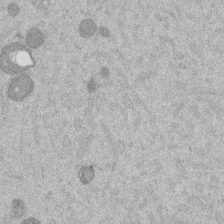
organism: Mouse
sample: Dividing mouse embryo 1 cell stage